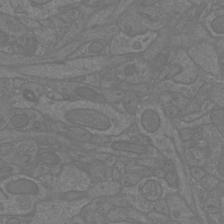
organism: Mouse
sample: Cortical neurons